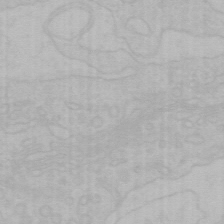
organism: Mouse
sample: Choroid plexus